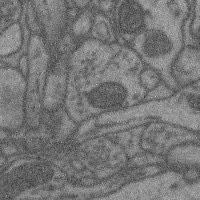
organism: Mouse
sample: Cerebral cortex